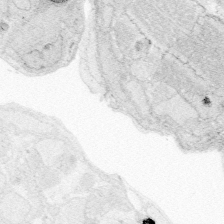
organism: Zebrafish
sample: Whole-Brain